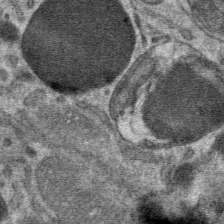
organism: Mouse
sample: Mouse hepatocytes